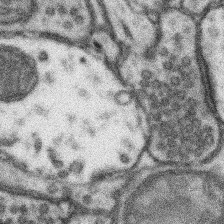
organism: Mouse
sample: Somatosensory cortex neuropil